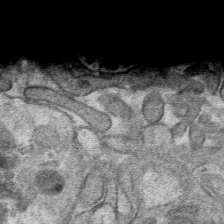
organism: Mouse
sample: Mouse hepatocytes